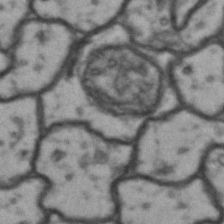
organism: Drosophila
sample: Brain